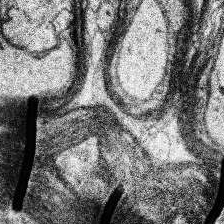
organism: Human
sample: Temporal Lobe